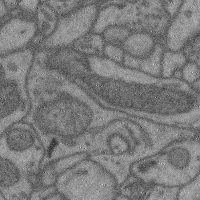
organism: Mouse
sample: Cerebral cortex